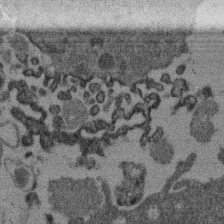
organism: Mouse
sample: Dividing mouse embryo 1 cell stage